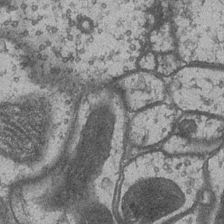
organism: Drosophila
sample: Optic medulla